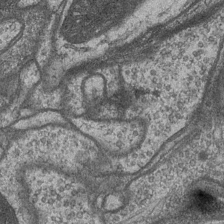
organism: Drosophila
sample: Optic medulla